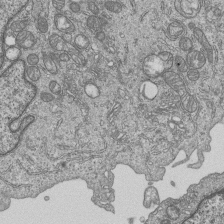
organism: Human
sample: MDA-MB-231 cells